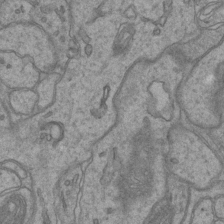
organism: Mouse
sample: CA1 Hippocampus